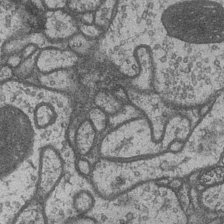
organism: Drosophila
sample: Optic medulla